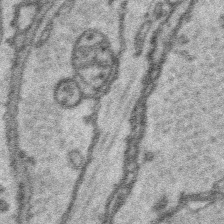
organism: Platynereis dumerilii